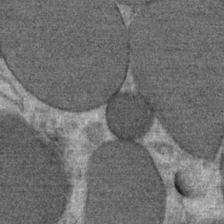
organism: Mouse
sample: Mouse Salivary gland